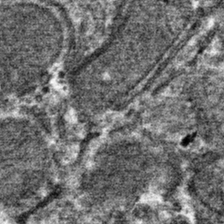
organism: Mouse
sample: Mouse hepatocytes